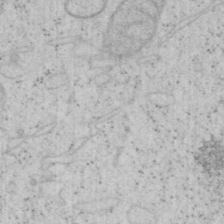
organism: Human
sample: HeLa cells